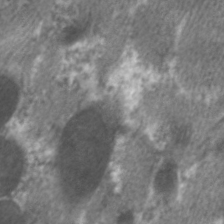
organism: C. elegans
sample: Pharynx